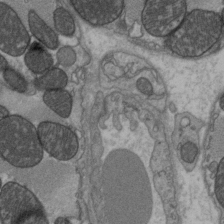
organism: C57BL Mouse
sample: Heart